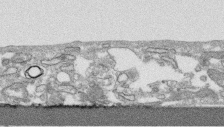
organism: Human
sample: CRL-1474